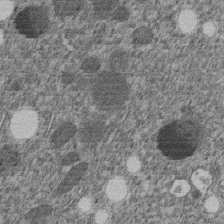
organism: C. elegans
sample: C. elegans embryo early stage